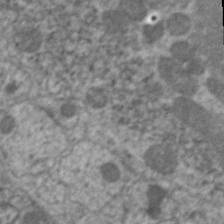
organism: C. elegans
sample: Pharynx